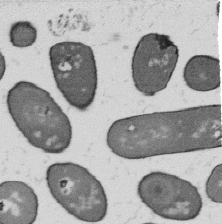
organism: B. subtilis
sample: Bacterial spore